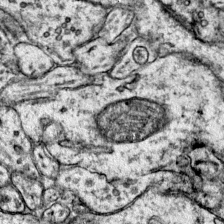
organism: Mouse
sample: Primary visual cortex